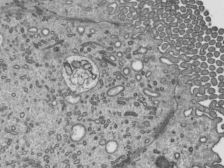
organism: Mouse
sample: Mouse epididymis efferent ductule cilia